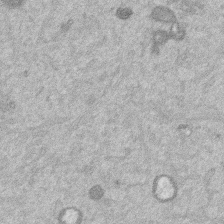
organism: Mouse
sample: Dividing mouse embryo 1 cell stage